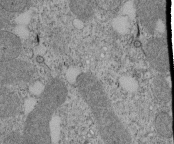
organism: Tetrahymena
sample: Cilia in tetrahymena